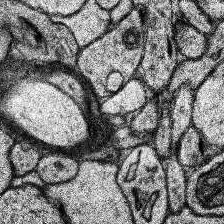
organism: Human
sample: Temporal Lobe